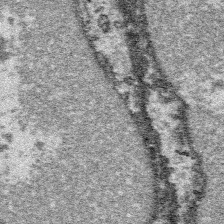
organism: Platynereis dumerilii